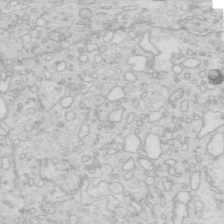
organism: Mouse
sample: Multiciliated cells